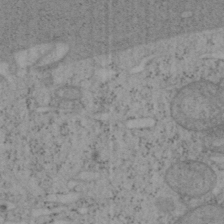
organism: Mouse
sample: OT-I killer T cells with ID8 ovarian cancer cells